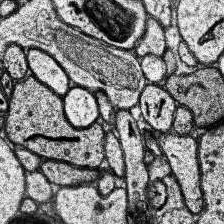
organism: Human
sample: Temporal Lobe